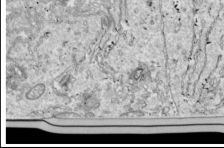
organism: Drosophila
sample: Cell division; meiosis; drosophila spermatocytes